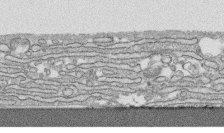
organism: Human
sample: CRL-1474